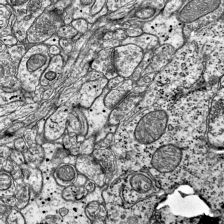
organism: Mouse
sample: Visual Cortex